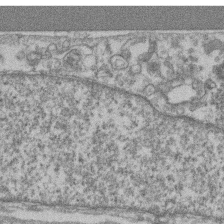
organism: Mouse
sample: T cell stromal cell synapse